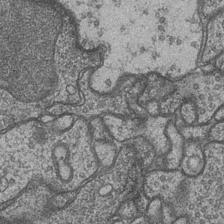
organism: Drosophila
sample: Optic medulla